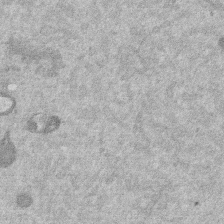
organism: Mouse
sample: Dividing mouse embryo 1 cell stage